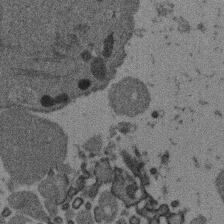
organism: Mouse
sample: Dividing mouse embryo 1 cell stage